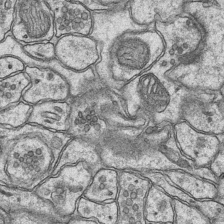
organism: Mouse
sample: CA1 Hippocampus